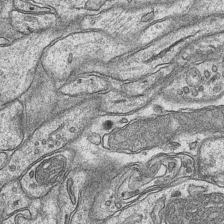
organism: Mouse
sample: CA1 Hippocampus